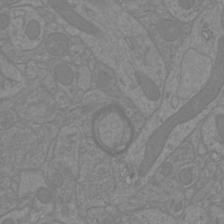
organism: Mouse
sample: Cortical neurons